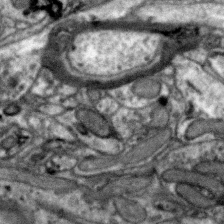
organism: Zebra finch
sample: Brain